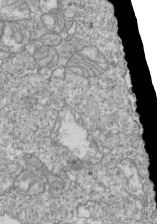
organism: Human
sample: HeLa cell HIV synapse